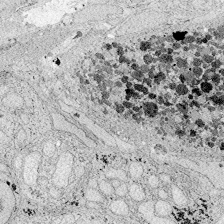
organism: Zebrafish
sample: Whole-Brain